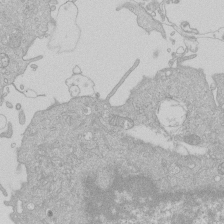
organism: Human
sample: Macrophage cells